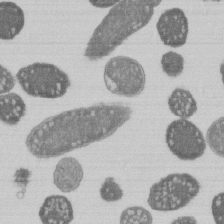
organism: E. coli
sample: Bacterial nucleoid